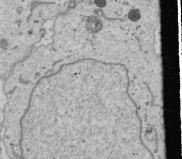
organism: Human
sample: Mitochondria in U2OS cells